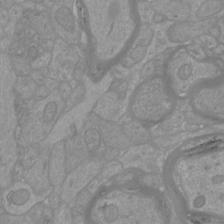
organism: Mouse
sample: Cortical neurons